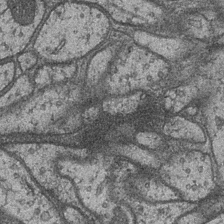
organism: Drosophila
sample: Optic medulla